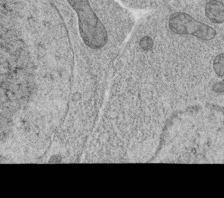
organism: C. elegans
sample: C. elegans oocyte; sperm cells